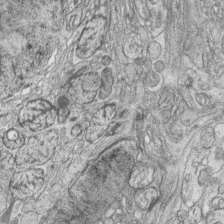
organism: Zebrafish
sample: synaptic ribbons in rod cells and cone cells